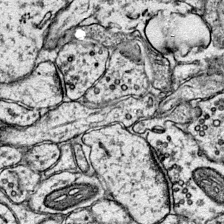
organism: Mouse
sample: Primary visual cortex